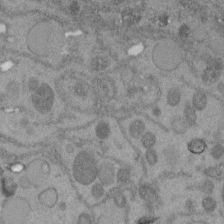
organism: C. elegans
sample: C. elegans embryo early stage